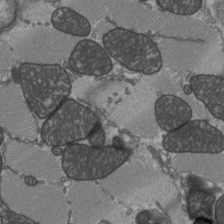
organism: C57BL Mouse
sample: Heart